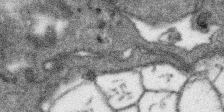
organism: Human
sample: Lung epithelial cells infected with SARS-CoV-2